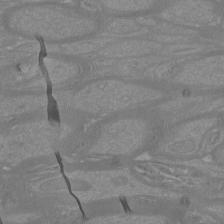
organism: Mouse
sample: Cortical neurons